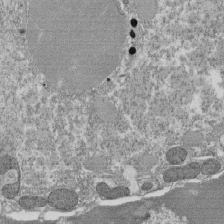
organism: Tetrahymena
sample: Cilia in tetrahymena